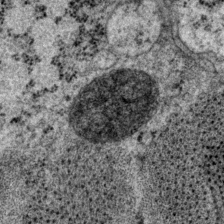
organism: P. pacificus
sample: Pharynx